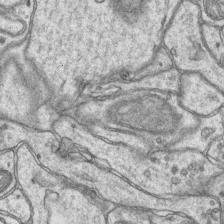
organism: Mouse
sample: CA1 Hippocampus